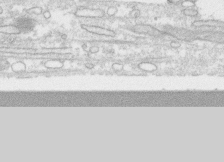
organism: Human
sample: CRL-1474